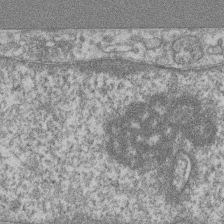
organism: Mouse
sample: T cell stromal cell synapse